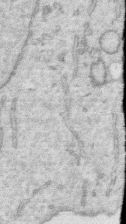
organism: Human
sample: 1205lu cells